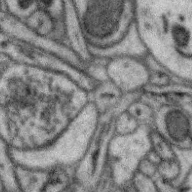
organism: Zebra finch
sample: Brain